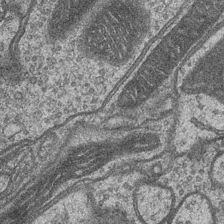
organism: Drosophila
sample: Optic medulla